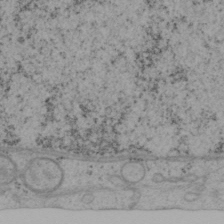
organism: Human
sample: HeLa cells